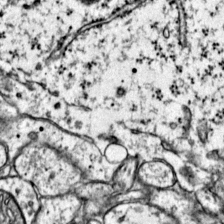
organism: Mouse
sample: Primary visual cortex